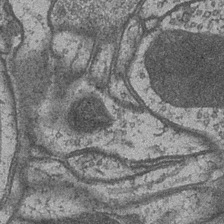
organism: Drosophila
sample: Optic medulla